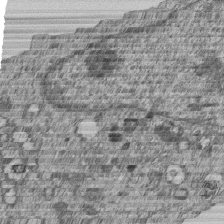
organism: Human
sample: MDA-MB-231 cells